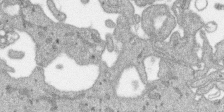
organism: Human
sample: Lung epithelial cells infected with SARS-CoV-2